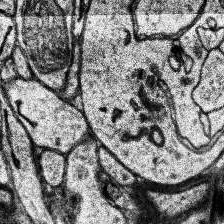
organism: Human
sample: Temporal Lobe